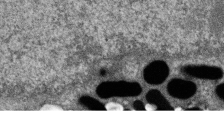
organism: Zebrafish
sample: Cilia; retinal pigment epithelium